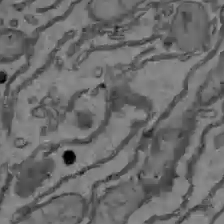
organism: C57BL Mouse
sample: Liver